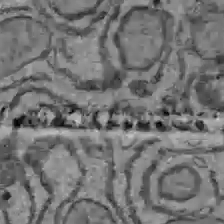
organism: C57BL Mouse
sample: Liver